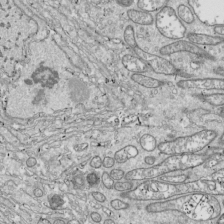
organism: Drosophila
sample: Cell division; meiosis; drosophila spermatocytes